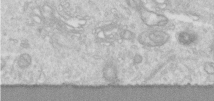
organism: Human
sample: Centriole in RPE cells